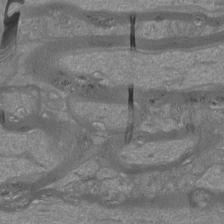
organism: Mouse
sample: Cortical neurons